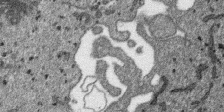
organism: Human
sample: Lung epithelial cells infected with SARS-CoV-2